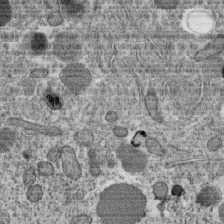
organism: C. elegans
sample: C. elegans oocyte; sperm cells